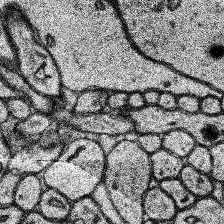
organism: Human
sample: Temporal Lobe